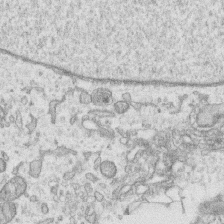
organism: Human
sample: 1205lu cells